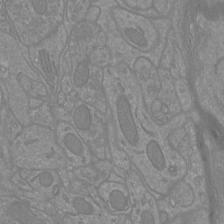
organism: Mouse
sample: Cortical neurons